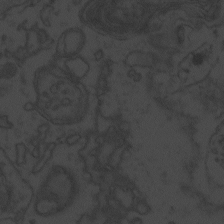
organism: Zebrafish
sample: Macrophage infected with Toxoplasma gondii